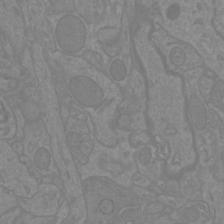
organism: Mouse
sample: Cortical neurons